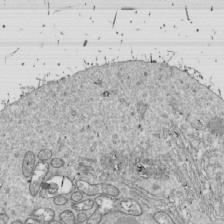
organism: Drosophila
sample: Cell division; meiosis; drosophila spermatocytes